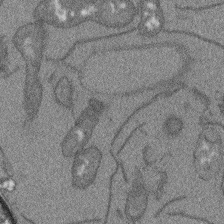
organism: Arabidopsis thaliana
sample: Root tip